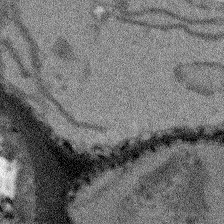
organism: Arabidopsis thaliana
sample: Root tip